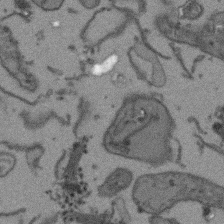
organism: Arabidopsis thaliana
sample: Root tip